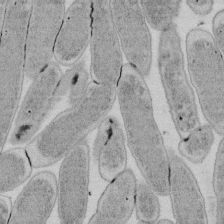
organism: E. coli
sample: Bacterial nucleoid